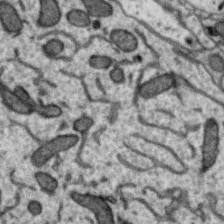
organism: Zebra finch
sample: Brain